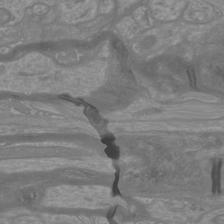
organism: Mouse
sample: Cortical neurons